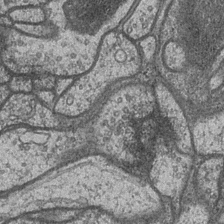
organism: Drosophila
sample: Optic medulla